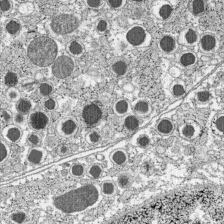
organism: C57BL Mouse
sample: Pancreatic islet